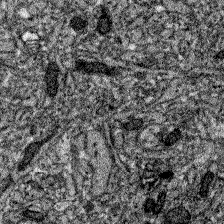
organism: Zebrafish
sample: Larval olfactory bulb